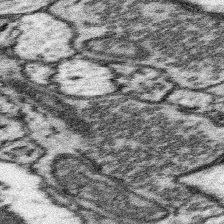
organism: Mouse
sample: Somatosensory cortex neuropil